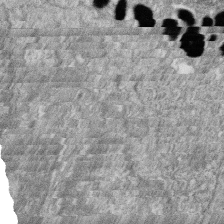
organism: Zebrafish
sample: Cilia; retinal pigment epithelium